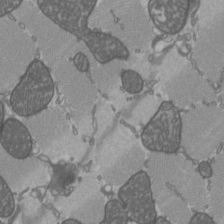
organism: C57BL Mouse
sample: Heart